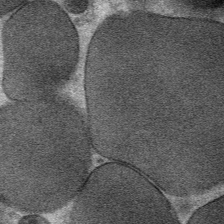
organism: Mouse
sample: Mouse Salivary gland